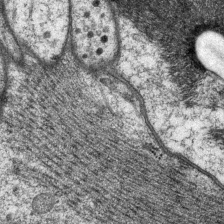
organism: P. pacificus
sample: Pharynx